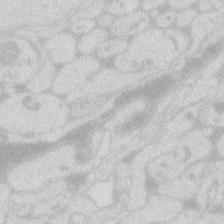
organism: Zebrafish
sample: Macrophage